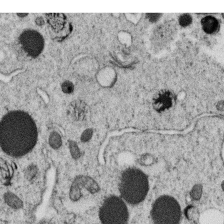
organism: C. elegans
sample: C. elegans oocyte; sperm cells